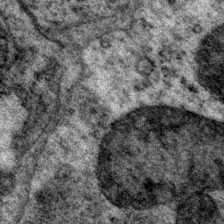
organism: P. pacificus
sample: Pharynx